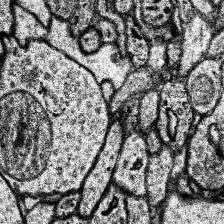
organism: Human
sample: Temporal Lobe